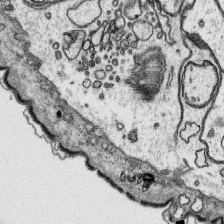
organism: Platynereis dumerilii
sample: Parapodia